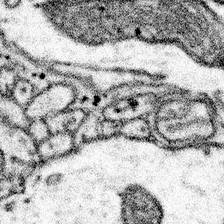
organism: Mouse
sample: Somatosensory cortex neuropil